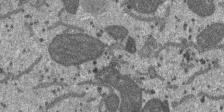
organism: Human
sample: Lung epithelial cells infected with SARS-CoV-2